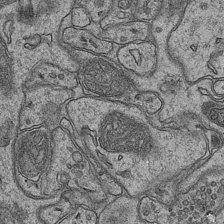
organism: Mouse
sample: CA1 Hippocampus